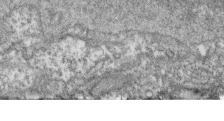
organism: Zebrafish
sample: Cilia; retinal pigment epithelium